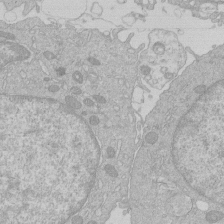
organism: Human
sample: Macrophage cells